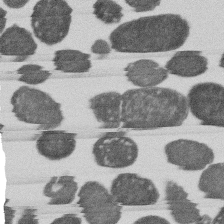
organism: E. coli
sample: Bacterial nucleoid